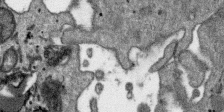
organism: Human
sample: Lung epithelial cells, uninfected (mock) control